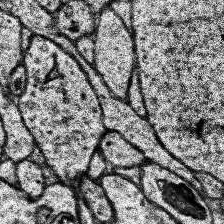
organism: Human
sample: Temporal Lobe